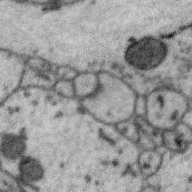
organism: Zebra finch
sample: Brain